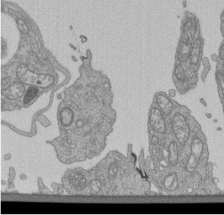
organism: Human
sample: Retinal organoid Rod and Cone cells